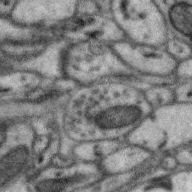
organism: Zebra finch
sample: Brain